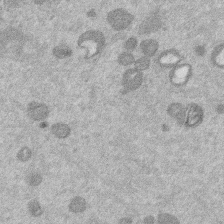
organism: Mouse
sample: Dividing mouse embryo 1 cell stage